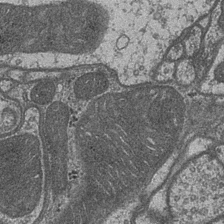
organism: Drosophila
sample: Optic medulla